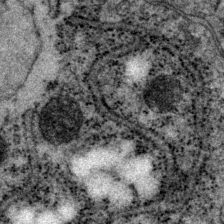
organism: P. pacificus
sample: Pharynx